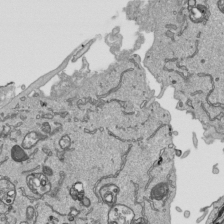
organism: Human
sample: Mitochondria in HCT116 cells